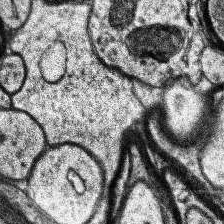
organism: Human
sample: Temporal Lobe